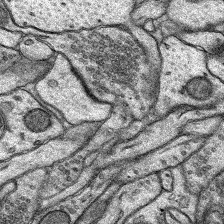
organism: Rat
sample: Hippocampus